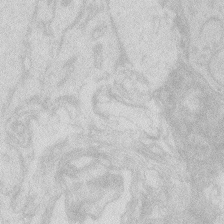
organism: Zebrafish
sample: Macrophage